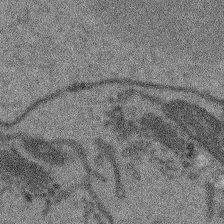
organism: Arabidopsis thaliana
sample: Root tip